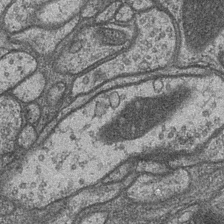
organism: Drosophila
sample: Optic medulla